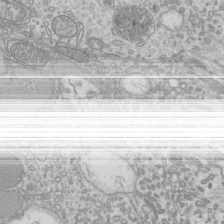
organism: Mouse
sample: Cilia; mouse epididymis